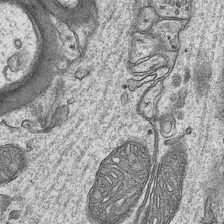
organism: Mouse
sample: CA1 Hippocampus